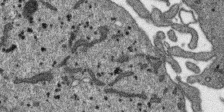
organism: Human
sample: Lung epithelial cells infected with SARS-CoV-2